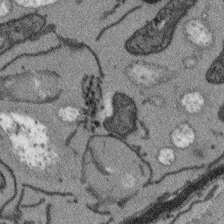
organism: Arabidopsis thaliana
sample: Root tip